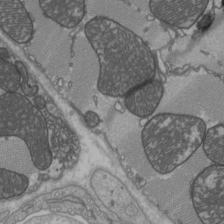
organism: C57BL Mouse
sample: Heart